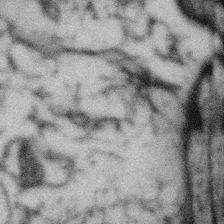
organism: Gemmata obscuriglobus